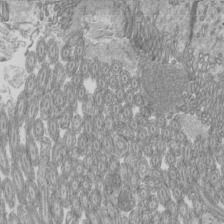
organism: Mouse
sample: Cilia; mouse epididymis